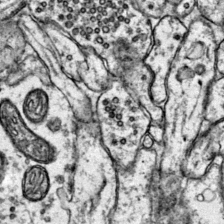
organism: Mouse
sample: Primary visual cortex